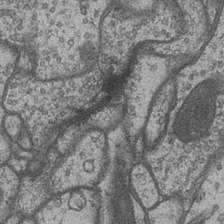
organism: Drosophila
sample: Optic medulla